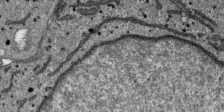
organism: Human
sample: Lung epithelial cells, uninfected (mock) control